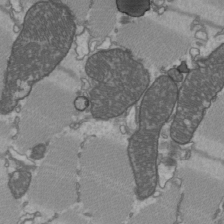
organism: C57BL Mouse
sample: Heart